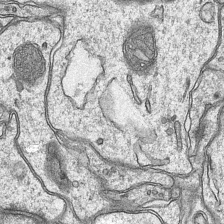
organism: Mouse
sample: CA1 Hippocampus